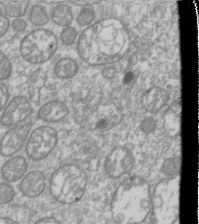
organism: Drosophila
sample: Cell division; meiosis; drosophila spermatocytes